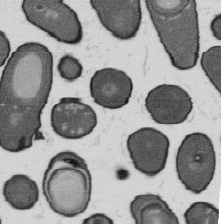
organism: B. subtilis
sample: Bacterial spore